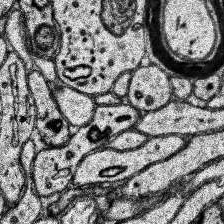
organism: Human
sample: Temporal Lobe